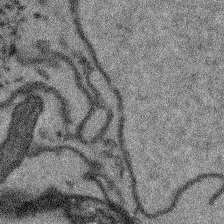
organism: Arabidopsis thaliana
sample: Root tip